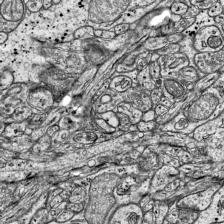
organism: Mouse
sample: Visual Cortex